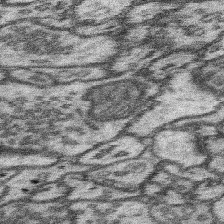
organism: Mouse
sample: Somatosensory cortex neuropil